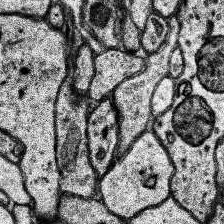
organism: Human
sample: Temporal Lobe